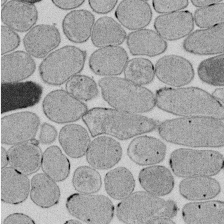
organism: E. coli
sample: Bacterial nucleoid